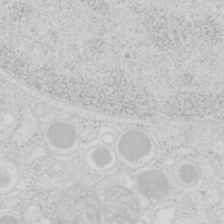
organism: Mouse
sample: Pancreas